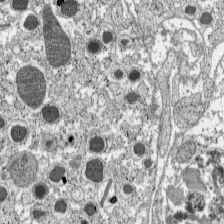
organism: C57BL Mouse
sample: Pancreatic islet